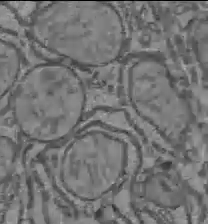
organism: C57BL Mouse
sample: Liver